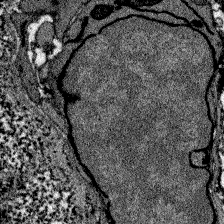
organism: Zebrafish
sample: Larval olfactory bulb